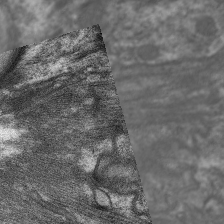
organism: C. elegans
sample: Pharynx